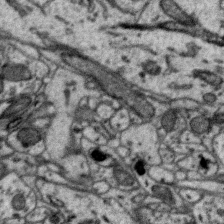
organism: Zebra finch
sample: Brain